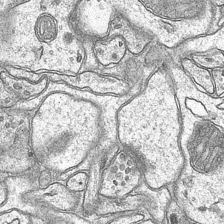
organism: Mouse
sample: CA1 Hippocampus